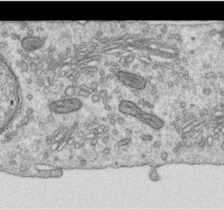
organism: Human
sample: Centriole in RPE cells